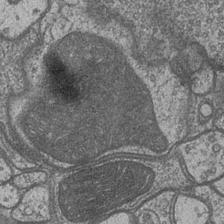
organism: Drosophila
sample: Optic medulla